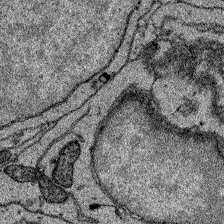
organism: Zebrafish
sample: Larval olfactory bulb